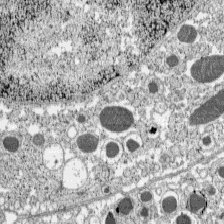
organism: C57BL Mouse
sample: Pancreatic islet